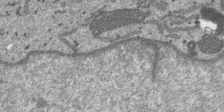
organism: Human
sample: Lung epithelial cells infected with SARS-CoV-2